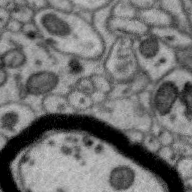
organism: Zebra finch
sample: Brain